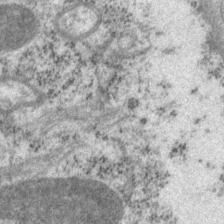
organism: P. pacificus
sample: Pharynx